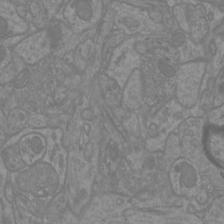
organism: Mouse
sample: Cortical neurons